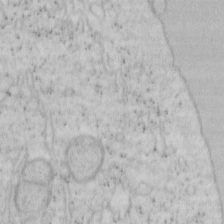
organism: Human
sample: HeLa cells